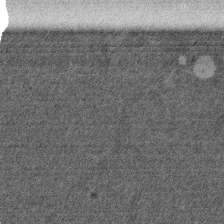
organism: Mouse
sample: Dividing mouse embryo 1 cell stage